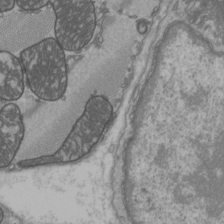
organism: C57BL Mouse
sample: Heart